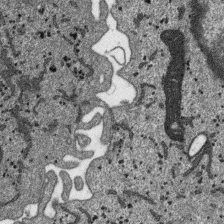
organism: Human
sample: Lung epithelial cells infected with SARS-CoV-2